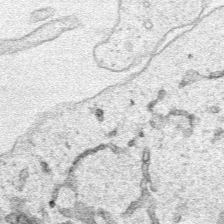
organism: Human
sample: Mitochondria in HCT116 cells